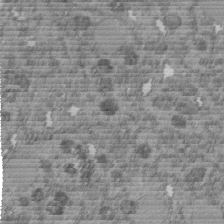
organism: C. elegans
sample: C. elegans embryo early stage